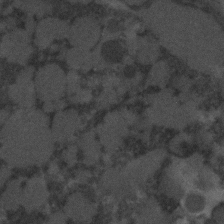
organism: C. elegans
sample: C. elegans embryo